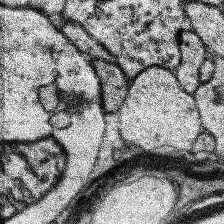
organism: Human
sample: Temporal Lobe